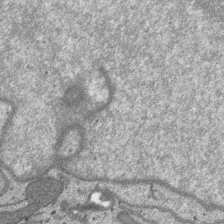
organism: Human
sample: Lung epithelial cells infected with SARS-CoV-2